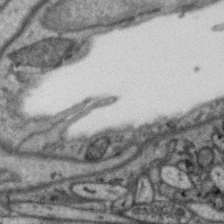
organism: Zebra finch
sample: Brain